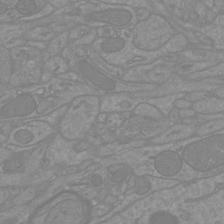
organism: Mouse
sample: Cortical neurons